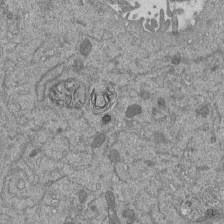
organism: Mouse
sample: ED-1 cell nuclei; centrioles